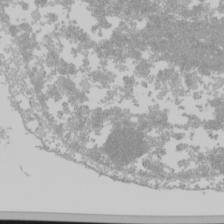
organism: Mouse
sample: Cancer cell death in ED-1 cells